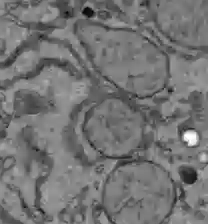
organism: C57BL Mouse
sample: Liver